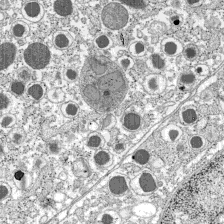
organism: C57BL Mouse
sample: Pancreatic islet